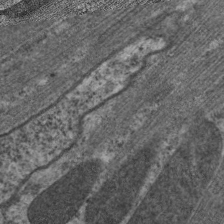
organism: C. elegans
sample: Pharynx